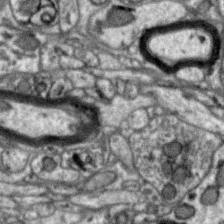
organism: Zebra finch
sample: Brain